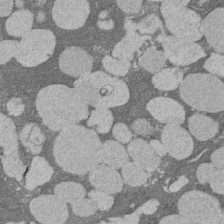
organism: Rat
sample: Salivary granule